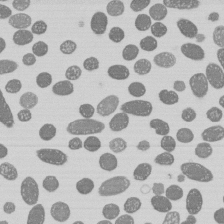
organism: E. coli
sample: Bacterial nucleoid